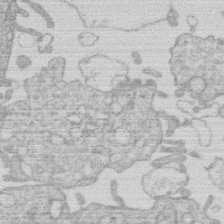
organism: Human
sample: Macrophage cells